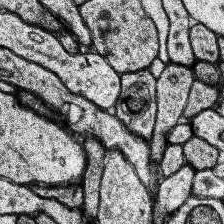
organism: Human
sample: Temporal Lobe